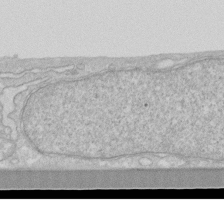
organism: Human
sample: Fibroblast cells